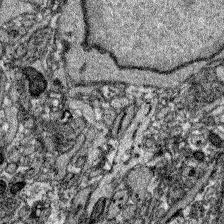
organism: Zebrafish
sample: Larval olfactory bulb